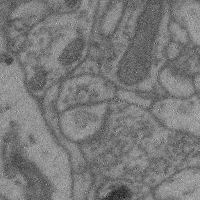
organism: Mouse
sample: Cerebral cortex